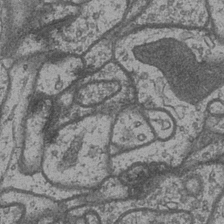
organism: Drosophila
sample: Optic medulla